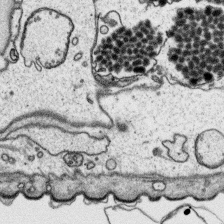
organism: Platynereis dumerilii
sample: Parapodia